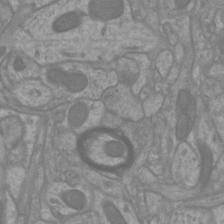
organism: Mouse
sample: Cortical neurons